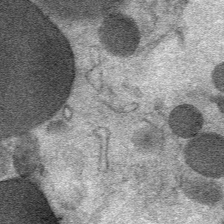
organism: Mouse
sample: Mouse Salivary gland